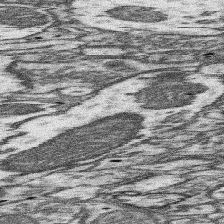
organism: Mouse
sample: Somatosensory cortex neuropil